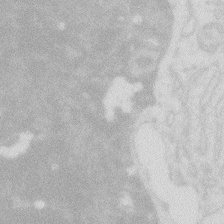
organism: Zebrafish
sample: Macrophage